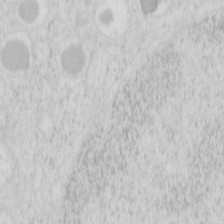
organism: Mouse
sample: Pancreas